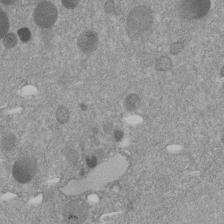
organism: C. elegans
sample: C. elegans embryo early stage